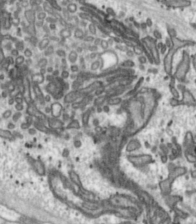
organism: Toxoplasma gondii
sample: Parasites in a vacuole inside a host cell